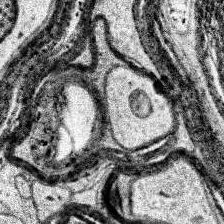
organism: Human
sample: Temporal Lobe